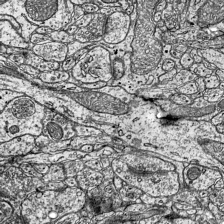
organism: Mouse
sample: Visual Cortex